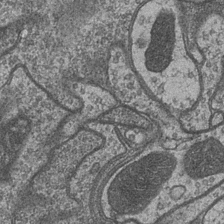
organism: Drosophila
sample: Optic medulla